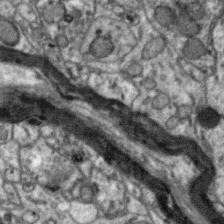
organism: Zebra finch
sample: Brain